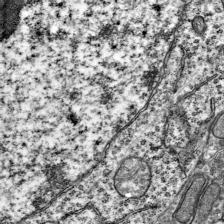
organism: Mouse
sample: Visual Cortex